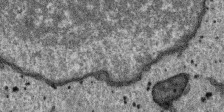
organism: Human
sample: Lung epithelial cells, uninfected (mock) control